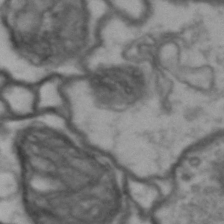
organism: Drosophila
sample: Brain